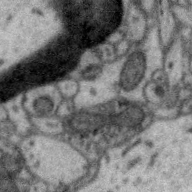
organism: Zebra finch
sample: Brain